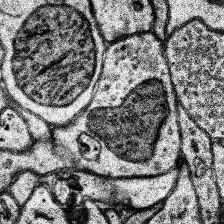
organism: Human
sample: Temporal Lobe